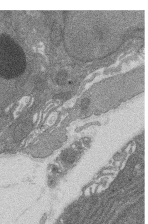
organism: Rat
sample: Salivary granule